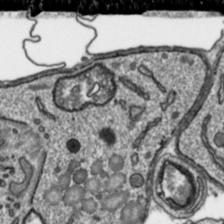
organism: Toxoplasma gondii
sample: Parasites in a vacuole inside a host cell